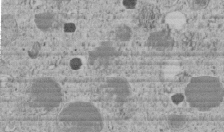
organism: C. elegans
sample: C. elegans embryo early stage